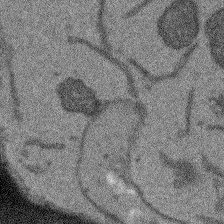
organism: Arabidopsis thaliana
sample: Root tip